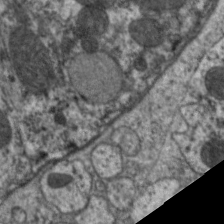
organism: C. elegans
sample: Pharynx